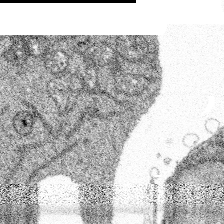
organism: Spongilla lacustris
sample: Multiple